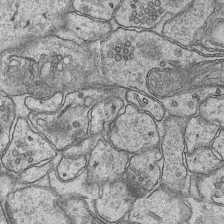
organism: Mouse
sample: CA1 Hippocampus